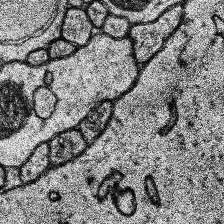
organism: Human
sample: Temporal Lobe